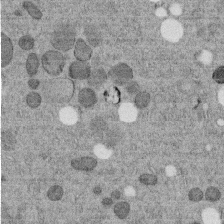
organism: C. elegans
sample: C. elegans embryo early stage